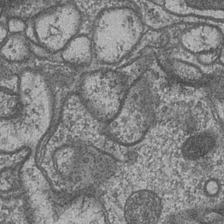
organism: Drosophila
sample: Optic medulla